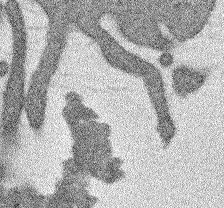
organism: Human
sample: HeLa cells